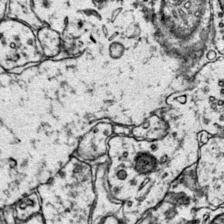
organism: Mouse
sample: Primary visual cortex